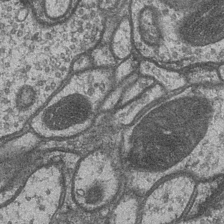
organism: Drosophila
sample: Optic medulla